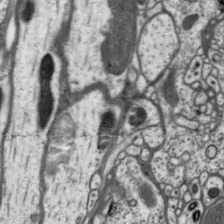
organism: Drosophila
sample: Protocerebral bridge